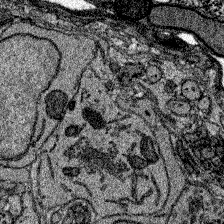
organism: Zebrafish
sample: Larval olfactory bulb